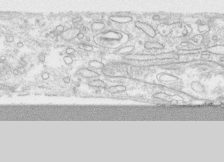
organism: Human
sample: CRL-1474